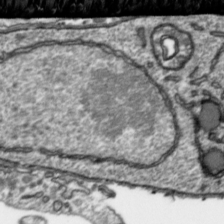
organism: Toxoplasma gondii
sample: Parasites in a vacuole inside a host cell